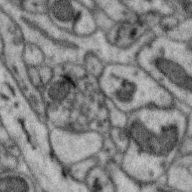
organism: Zebra finch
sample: Brain